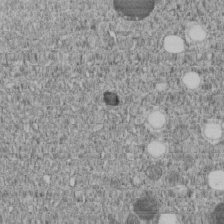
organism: C. elegans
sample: C. elegans embryo early stage